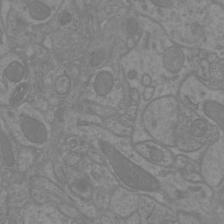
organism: Mouse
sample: Cortical neurons